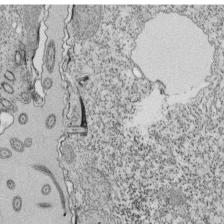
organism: Tetrahymena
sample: Cilia in tetrahymena